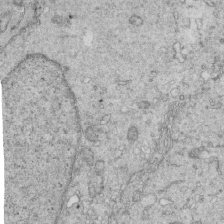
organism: Mouse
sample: Multiciliated cells